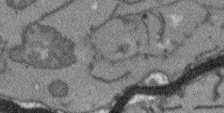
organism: Arabidopsis thaliana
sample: Root tip